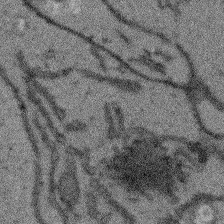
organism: Arabidopsis thaliana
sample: Root tip